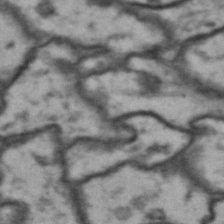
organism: Drosophila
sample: Brain